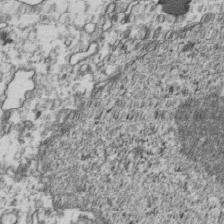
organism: Human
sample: Activated Jurkat CD4+ T cells